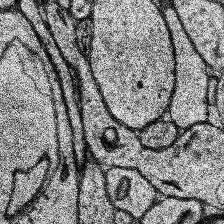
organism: Human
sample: Temporal Lobe